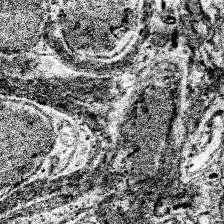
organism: Human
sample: Temporal Lobe